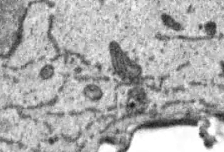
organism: Human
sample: HeLa cells